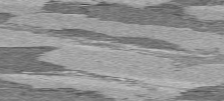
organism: C57BL Mouse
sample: Heart